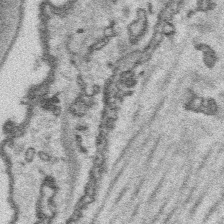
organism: Platynereis dumerilii